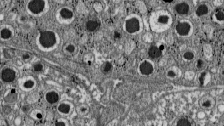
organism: C57BL Mouse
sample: Pancreatic islet